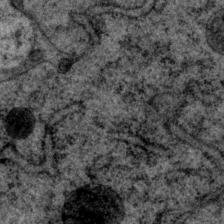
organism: P. pacificus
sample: Pharynx